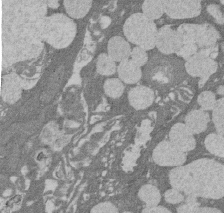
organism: Rat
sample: Salivary granule